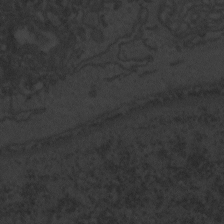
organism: Zebrafish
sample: Macrophage infected with Toxoplasma gondii